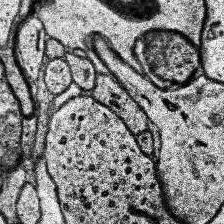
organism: Human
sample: Temporal Lobe